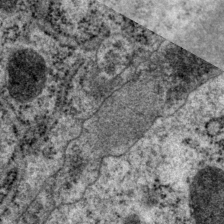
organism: P. pacificus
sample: Pharynx